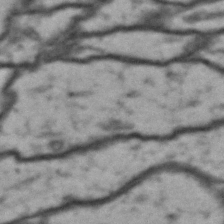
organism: Drosophila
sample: Brain